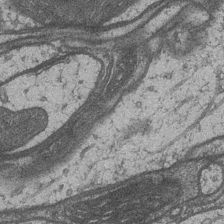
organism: Drosophila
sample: Optic medulla